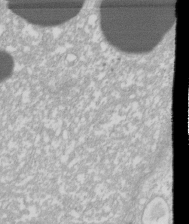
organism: Xenopus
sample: Cilia; centrioles in frog embryo cells